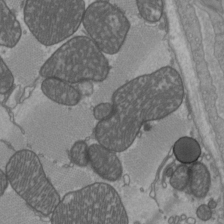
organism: C57BL Mouse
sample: Heart